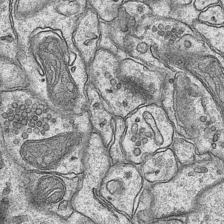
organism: Mouse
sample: CA1 Hippocampus